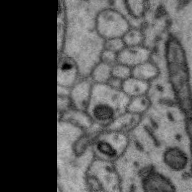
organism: Zebra finch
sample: Brain